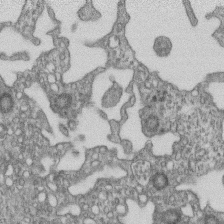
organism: Mouse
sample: Centriole in ependymal cells